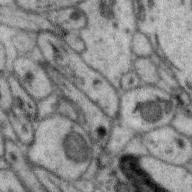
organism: Zebra finch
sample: Brain